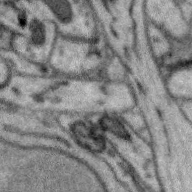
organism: Zebra finch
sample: Brain